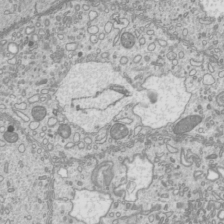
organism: Mouse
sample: Cilia; mouse epididymis